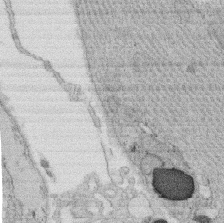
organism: Rat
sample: Salivary granule